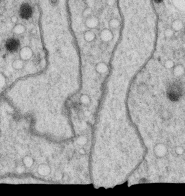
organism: C. elegans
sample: C. elegans oocyte; sperm cells